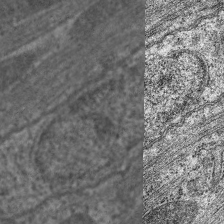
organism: C. elegans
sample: Pharynx